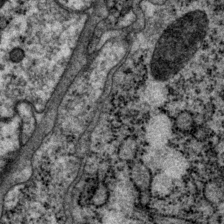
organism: P. pacificus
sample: Pharynx